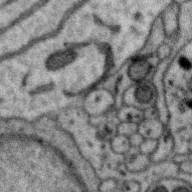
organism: Zebra finch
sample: Brain